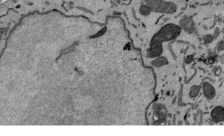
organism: Mouse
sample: ED-1 cell nuclei; centrioles